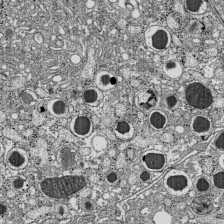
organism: C57BL Mouse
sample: Pancreatic islet